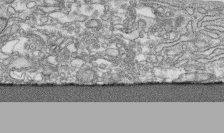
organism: Human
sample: CRL-1474